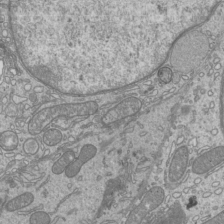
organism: Mouse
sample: Cilia; mouse epididymis